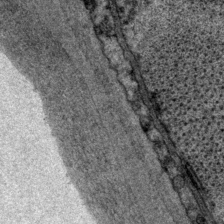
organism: P. pacificus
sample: Pharynx